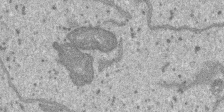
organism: Human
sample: Lung epithelial cells infected with SARS-CoV-2